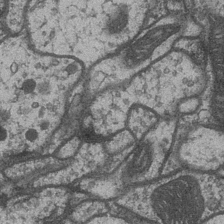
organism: Drosophila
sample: Optic medulla